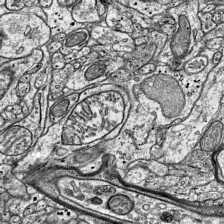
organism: Mouse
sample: Visual Cortex